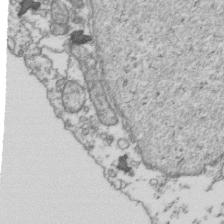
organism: Human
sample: Activated Jurkat CD4+ T cells